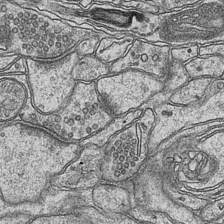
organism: Mouse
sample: CA1 Hippocampus